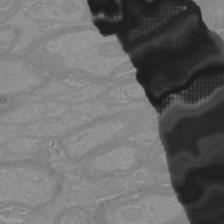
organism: Mouse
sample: Cortical neurons